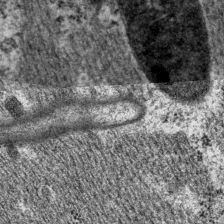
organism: P. pacificus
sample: Pharynx